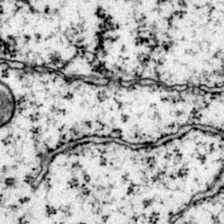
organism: Mouse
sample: Primary visual cortex